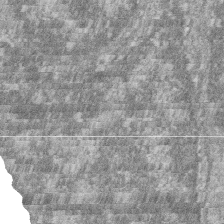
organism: Zebrafish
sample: Cilia; retinal pigment epithelium